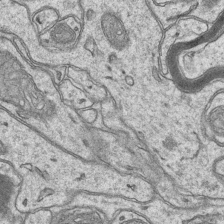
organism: Mouse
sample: CA1 Hippocampus